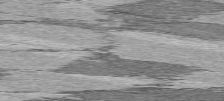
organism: C57BL Mouse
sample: Heart